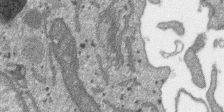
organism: Human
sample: Lung epithelial cells infected with SARS-CoV-2